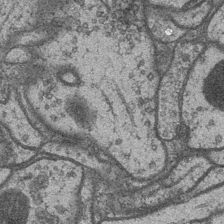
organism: Drosophila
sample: Optic medulla